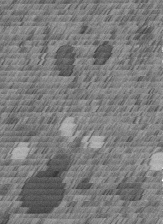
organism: C. elegans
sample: C. elegans embryo early stage